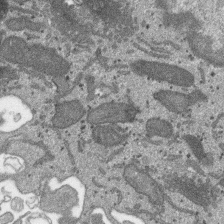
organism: Human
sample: Lung epithelial cells infected with SARS-CoV-2